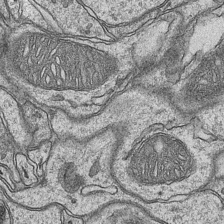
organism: Mouse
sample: CA1 Hippocampus